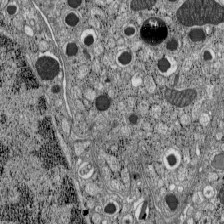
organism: C57BL Mouse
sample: Pancreatic islet